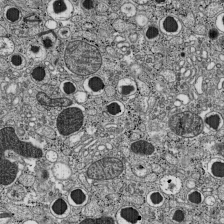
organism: C57BL Mouse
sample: Pancreatic islet